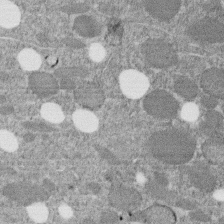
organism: C. elegans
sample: C. elegans embryo early stage